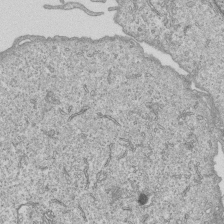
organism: Human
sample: MDA-MB-231 cells